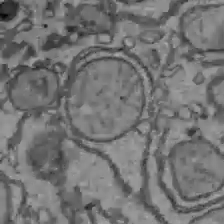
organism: C57BL Mouse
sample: Liver